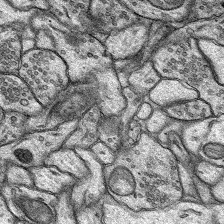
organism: Rat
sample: Hippocampus